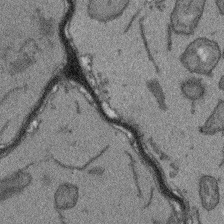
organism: Arabidopsis thaliana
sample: Root tip